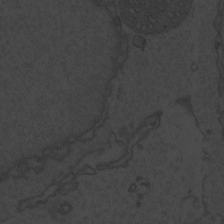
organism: Zebrafish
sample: Macrophage infected with Toxoplasma gondii